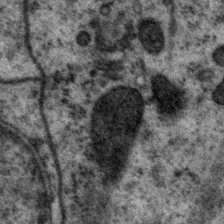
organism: P. pacificus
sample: Pharynx